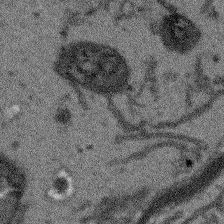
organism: Arabidopsis thaliana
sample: Root tip